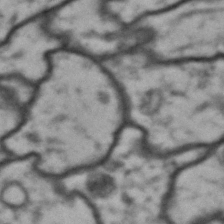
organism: Drosophila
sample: Brain